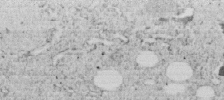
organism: C. elegans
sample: C. elegans embryo early stage